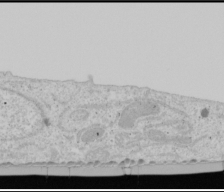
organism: Human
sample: Mitochondria in U2OS cells